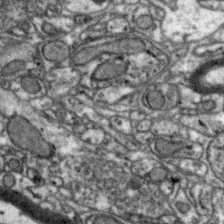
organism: Zebra finch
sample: Brain